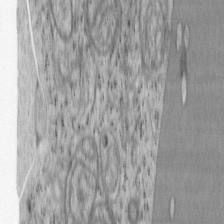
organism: Human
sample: HeLa cells